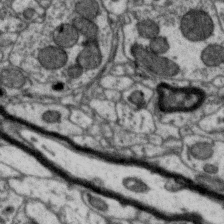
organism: Zebra finch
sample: Brain